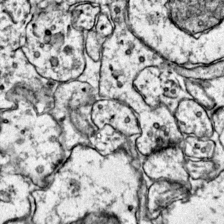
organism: Mouse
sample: Primary visual cortex